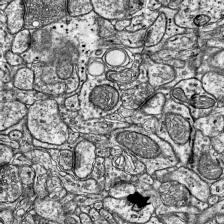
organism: Mouse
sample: Visual Cortex